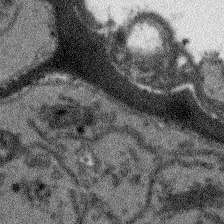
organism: Arabidopsis thaliana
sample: Root tip